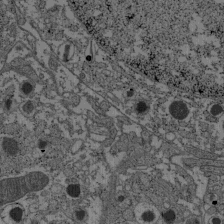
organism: C57BL Mouse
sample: Pancreatic islet